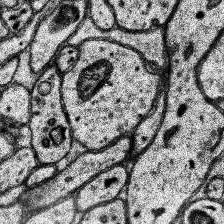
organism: Human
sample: Temporal Lobe